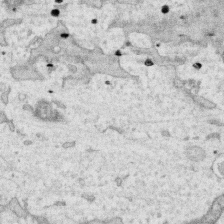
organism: Human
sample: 1205lu cells